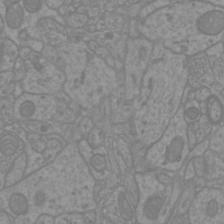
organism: Mouse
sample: Cortical neurons